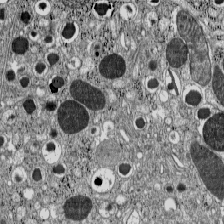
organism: C57BL Mouse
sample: Pancreatic islet